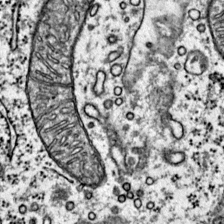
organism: Mouse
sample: Primary visual cortex